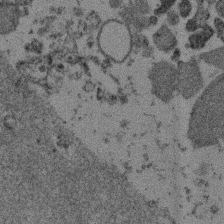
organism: Mouse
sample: Dividing mouse embryo 1 cell stage